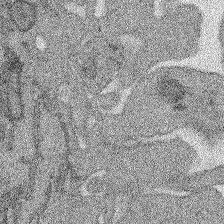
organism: Human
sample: HeLa cells